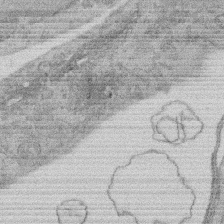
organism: Rat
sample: Salivary granule